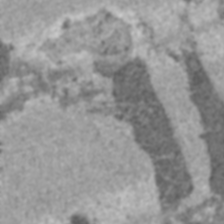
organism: C57BL Mouse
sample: Heart